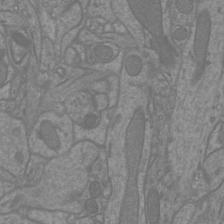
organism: Mouse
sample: Cortical neurons